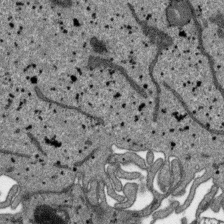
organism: Human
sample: Lung epithelial cells, uninfected (mock) control